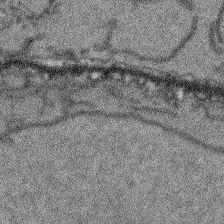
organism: Arabidopsis thaliana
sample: Root tip